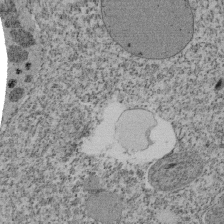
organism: Tetrahymena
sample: Cilia in tetrahymena